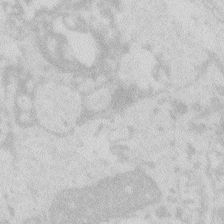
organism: Zebrafish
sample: Macrophage